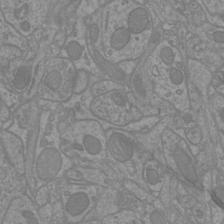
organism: Mouse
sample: Cortical neurons